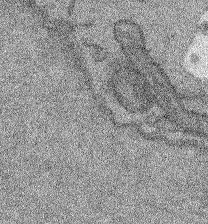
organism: Human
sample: HeLa cells